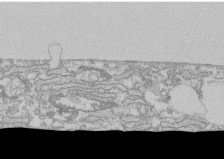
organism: Human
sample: CRL-1474